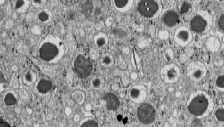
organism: C57BL Mouse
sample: Pancreatic islet